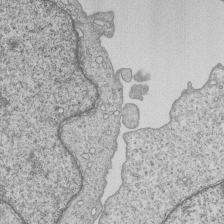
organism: Human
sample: MDA-MB-231 cells